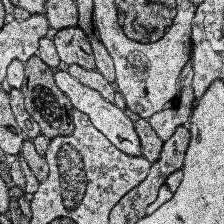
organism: Human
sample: Temporal Lobe